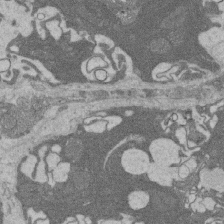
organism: Rat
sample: Salivary granule